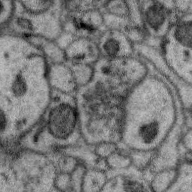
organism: Zebra finch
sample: Brain